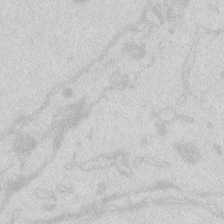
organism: Zebrafish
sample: Macrophage